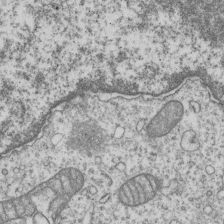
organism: Human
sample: MDA-MB-231 cells